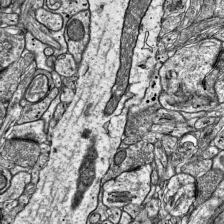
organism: Mouse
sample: Visual Cortex